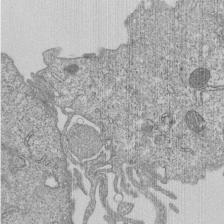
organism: Human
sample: MDA-MB-231 cells